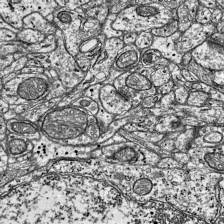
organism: Mouse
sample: Visual Cortex